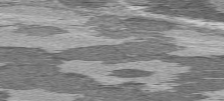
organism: C57BL Mouse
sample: Heart